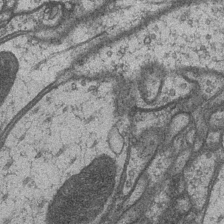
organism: Drosophila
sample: Optic medulla